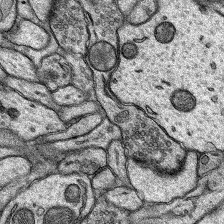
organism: Rat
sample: Hippocampus